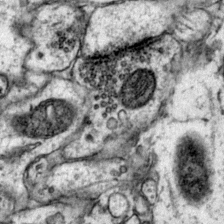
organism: Mouse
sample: Primary visual cortex